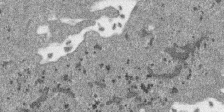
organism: Human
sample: Lung epithelial cells infected with SARS-CoV-2